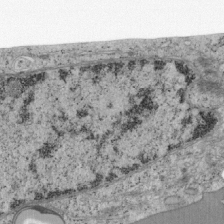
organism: Human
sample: HeLa cells